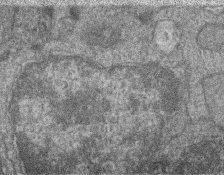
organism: Zebrafish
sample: Cilia; retinal pigment epithelium